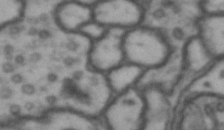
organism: Drosophila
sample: Brain